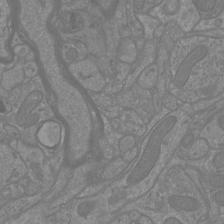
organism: Mouse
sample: Cortical neurons